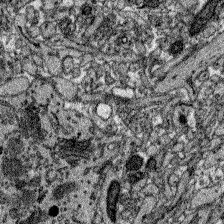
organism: Zebrafish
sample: Larval olfactory bulb